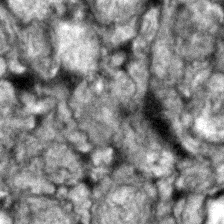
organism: Zebrafish